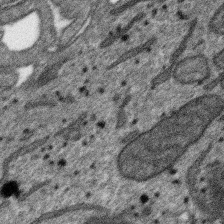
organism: Human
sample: Lung epithelial cells infected with SARS-CoV-2